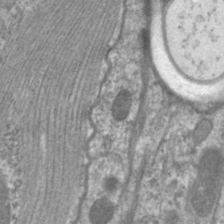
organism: C. elegans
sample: Pharynx